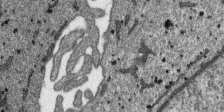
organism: Human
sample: Lung epithelial cells infected with SARS-CoV-2